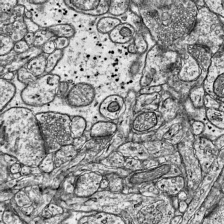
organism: Mouse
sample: Visual Cortex